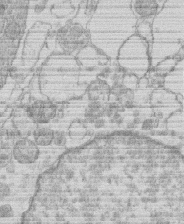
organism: Human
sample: Macrophage cells